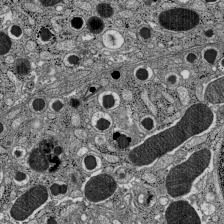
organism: C57BL Mouse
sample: Pancreatic islet